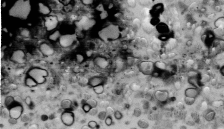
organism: Human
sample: U2-OS cells